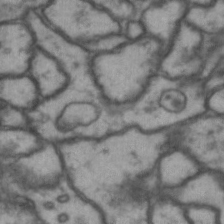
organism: Drosophila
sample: Brain